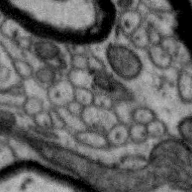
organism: Zebra finch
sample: Brain